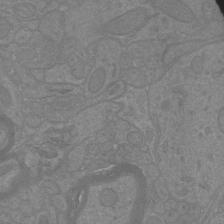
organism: Mouse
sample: Cortical neurons